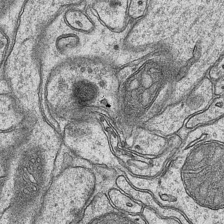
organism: Mouse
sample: CA1 Hippocampus